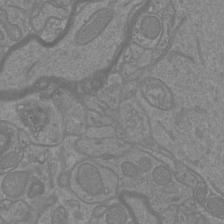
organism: Mouse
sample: Cortical neurons